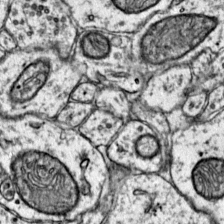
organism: Mouse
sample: Primary visual cortex